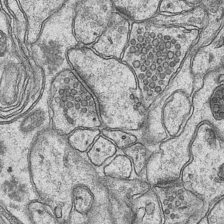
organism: Mouse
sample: CA1 Hippocampus